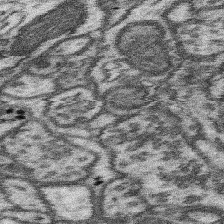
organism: Mouse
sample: Somatosensory cortex neuropil